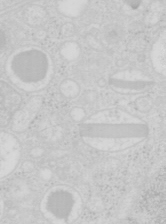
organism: Mouse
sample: Pancreas